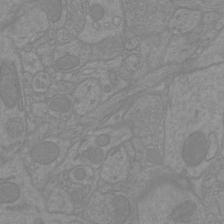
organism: Mouse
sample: Cortical neurons